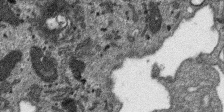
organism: Human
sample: Lung epithelial cells infected with SARS-CoV-2